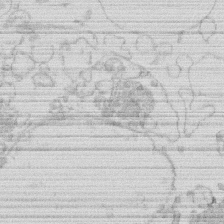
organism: Human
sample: Macrophage cells